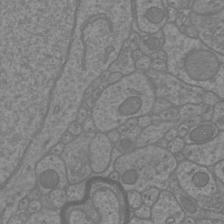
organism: Mouse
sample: Cortical neurons